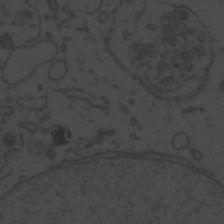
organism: Zebrafish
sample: Macrophage infected with Toxoplasma gondii